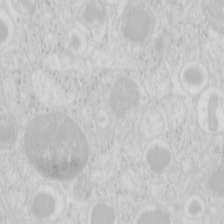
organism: Mouse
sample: Pancreas